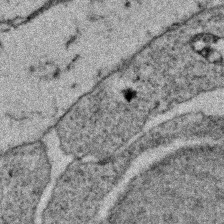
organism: Zebrafish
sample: Zebrafish embryo